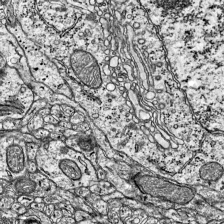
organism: Mouse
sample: Visual Cortex